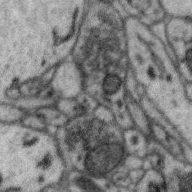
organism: Zebra finch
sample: Brain